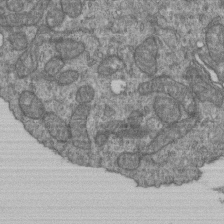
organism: Human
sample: Retinal organoid Rod and Cone cells